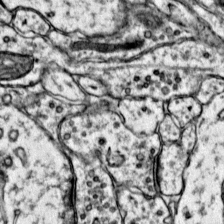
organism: Mouse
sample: Primary visual cortex